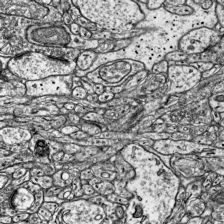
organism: Mouse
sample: Visual Cortex